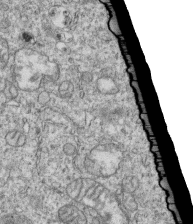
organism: Human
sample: HeLa cell HIV synapse